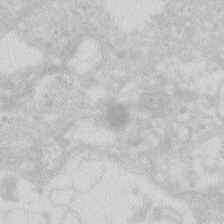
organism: Zebrafish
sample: Macrophage